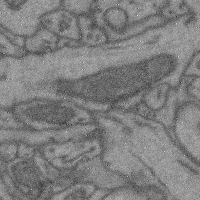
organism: Mouse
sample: Cerebral cortex